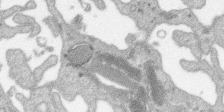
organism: Human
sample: Lung epithelial cells infected with SARS-CoV-2